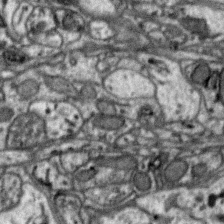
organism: Zebra finch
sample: Brain